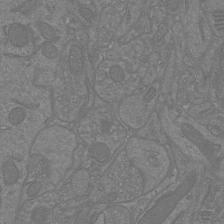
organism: Mouse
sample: Cortical neurons